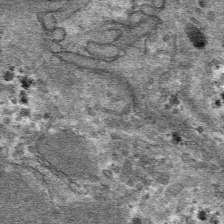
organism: Mouse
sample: Mouse hepatocytes